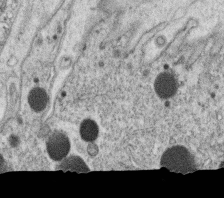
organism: C. elegans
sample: C. elegans oocyte; sperm cells